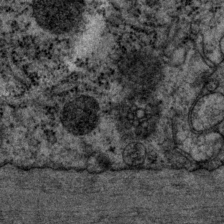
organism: P. pacificus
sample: Pharynx